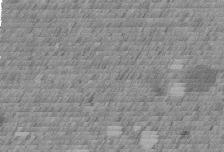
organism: C. elegans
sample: C. elegans embryo early stage